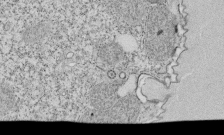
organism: Tetrahymena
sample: Cilia in tetrahymena